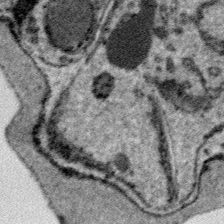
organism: Plasmodium falciparum